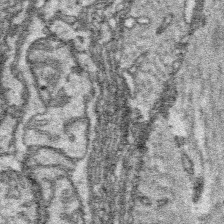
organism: Platynereis dumerilii